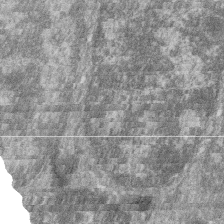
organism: Zebrafish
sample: Cilia; retinal pigment epithelium